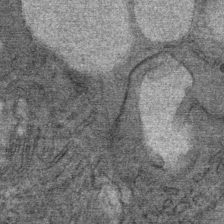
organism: Mouse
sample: Mouse Salivary gland